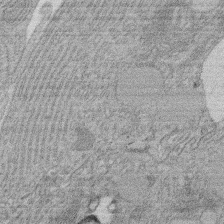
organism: Rat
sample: Salivary granule